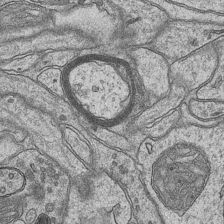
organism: Mouse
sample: CA1 Hippocampus